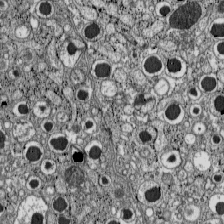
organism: C57BL Mouse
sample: Pancreatic islet